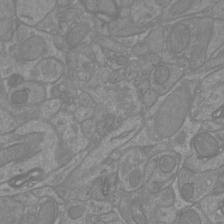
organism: Mouse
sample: Cortical neurons